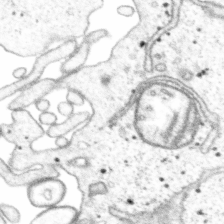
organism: Human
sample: HeLa cells